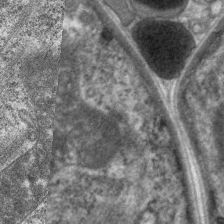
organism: C. elegans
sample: Pharynx